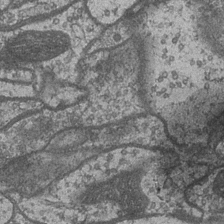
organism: Drosophila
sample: Optic medulla